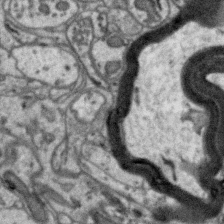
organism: Zebra finch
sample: Brain